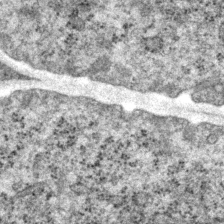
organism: P. pacificus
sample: Pharynx